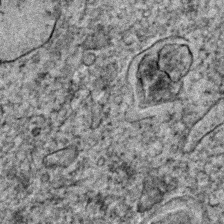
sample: Trachea